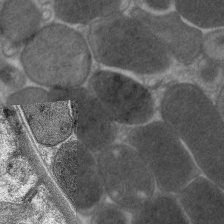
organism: C. elegans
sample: Pharynx